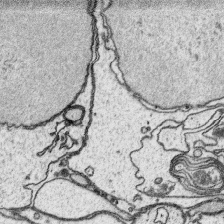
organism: Platynereis dumerilii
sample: Parapodia